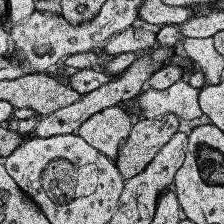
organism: Human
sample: Temporal Lobe